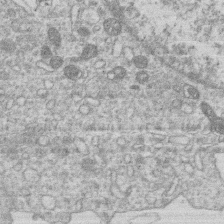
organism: Human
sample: Macrophage cells